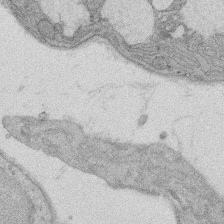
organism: Rat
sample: Salivary granule